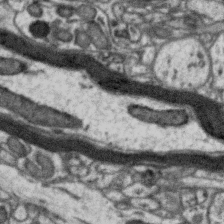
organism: Zebra finch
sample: Brain